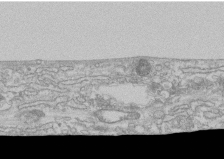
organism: Human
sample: CRL-1474